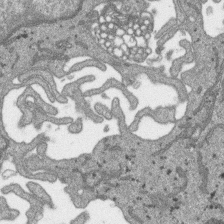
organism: Human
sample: Lung epithelial cells infected with SARS-CoV-2